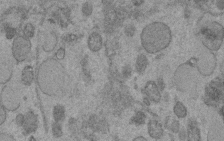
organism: C. elegans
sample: C. elegans embryo early stage